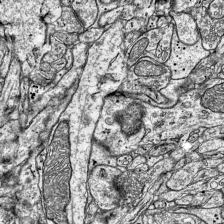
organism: Mouse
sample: Visual Cortex